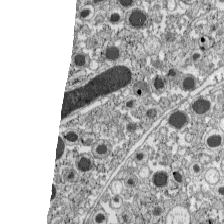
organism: C57BL Mouse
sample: Pancreatic islet